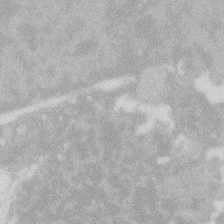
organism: Zebrafish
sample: Macrophage